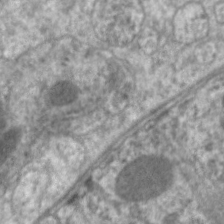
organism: C. elegans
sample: Pharynx